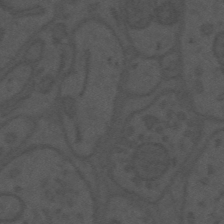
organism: Mouse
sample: Suprachiasmatic nucleus